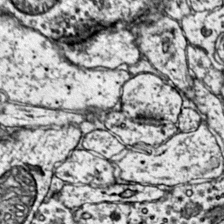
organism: Mouse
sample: Primary visual cortex